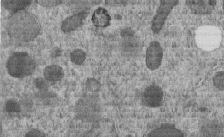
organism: C. elegans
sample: C. elegans embryo early stage